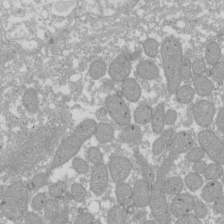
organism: Xenopus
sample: Cilia; centrioles in frog embryo cells